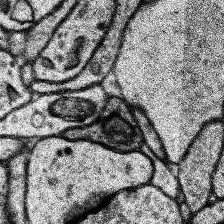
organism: Human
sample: Temporal Lobe